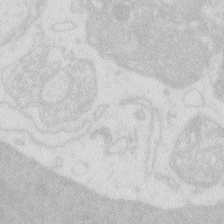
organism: Zebrafish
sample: Macrophage